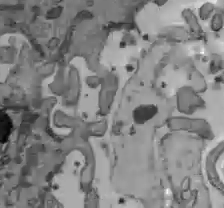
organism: C57BL Mouse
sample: Liver